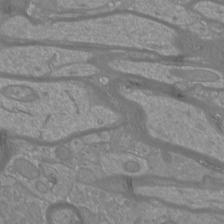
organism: Mouse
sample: Cortical neurons